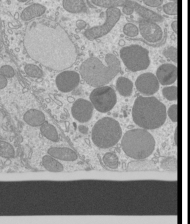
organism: Mouse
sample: Cilia; mouse epididymis